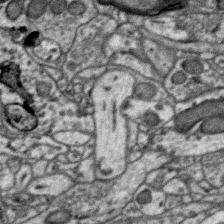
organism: Zebra finch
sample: Brain